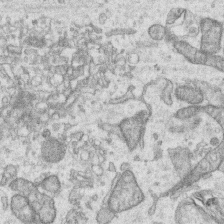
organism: Human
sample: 1205lu cells